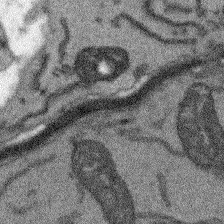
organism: Arabidopsis thaliana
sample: Root tip